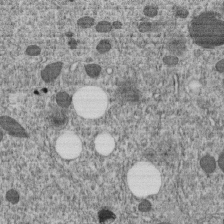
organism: C. elegans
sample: C. elegans embryo early stage